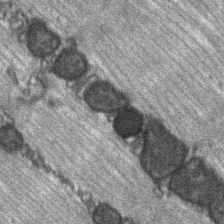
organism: C57BL Mouse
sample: Soleus